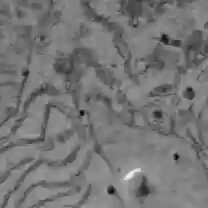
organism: C57BL Mouse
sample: Liver